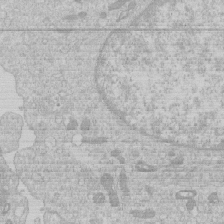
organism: Human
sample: Macrophage cells